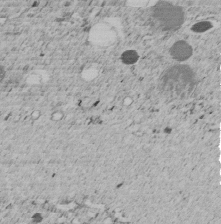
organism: C. elegans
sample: C. elegans embryo early stage